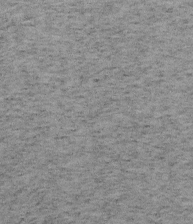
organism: Mouse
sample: OT-I killer T cells with ID8 ovarian cancer cells